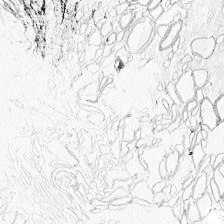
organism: Zebrafish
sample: Whole-Brain